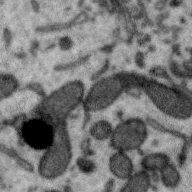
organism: Zebra finch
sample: Brain